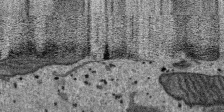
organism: Human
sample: Lung epithelial cells, uninfected (mock) control